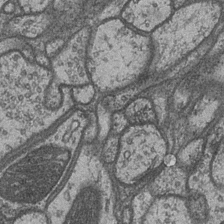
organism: Drosophila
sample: Optic medulla